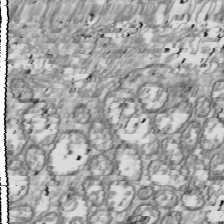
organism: Drosophila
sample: Cell division; meiosis; drosophila spermatocytes